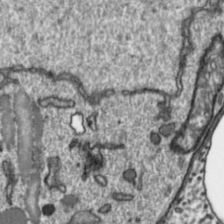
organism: Toxoplasma gondii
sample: Parasites in a vacuole inside a host cell